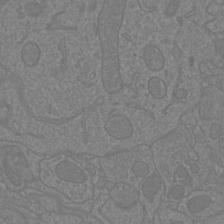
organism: Mouse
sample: Cortical neurons